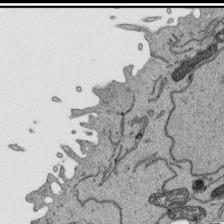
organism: Human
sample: Mitochondria in HCT116 cells